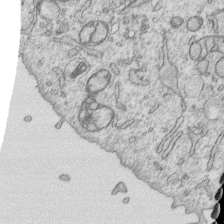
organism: Human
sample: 1205lu cells